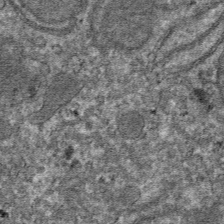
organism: Mouse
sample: Mouse hepatocytes